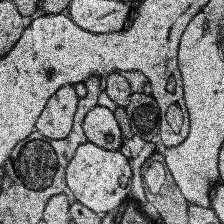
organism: Human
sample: Temporal Lobe